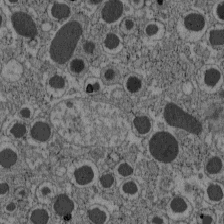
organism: C57BL Mouse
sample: Pancreatic islet